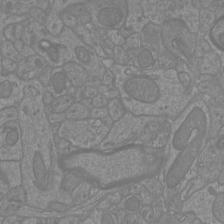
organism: Mouse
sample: Cortical neurons